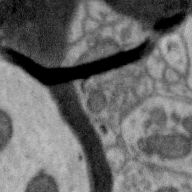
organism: Zebra finch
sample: Brain